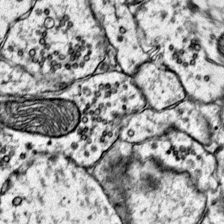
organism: Mouse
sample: Primary visual cortex